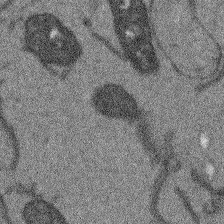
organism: Arabidopsis thaliana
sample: Root tip